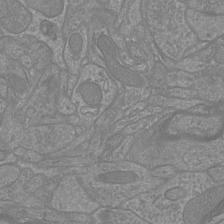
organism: Mouse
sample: Cortical neurons